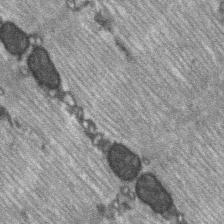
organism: C57BL Mouse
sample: Soleus